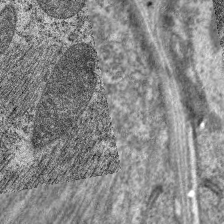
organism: C. elegans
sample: Pharynx